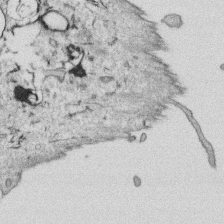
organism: Human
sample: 1205lu cells